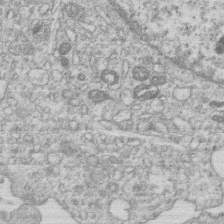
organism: Human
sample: Macrophage cells